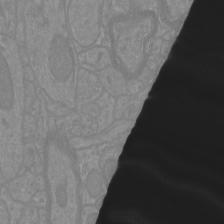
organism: Mouse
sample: Cortical neurons